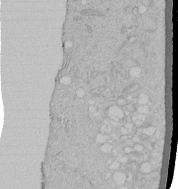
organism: Human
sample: Melanocyte Keratinocyte synapse skin construct